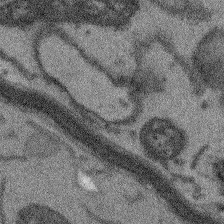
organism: Arabidopsis thaliana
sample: Root tip